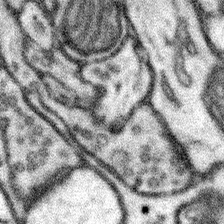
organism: Mouse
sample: Somatosensory cortex neuropil